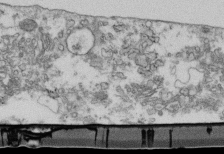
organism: Mouse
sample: Cilia; retinal pigment epithelium